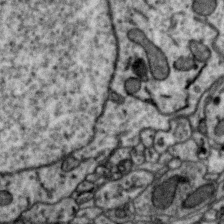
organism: Zebra finch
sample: Brain